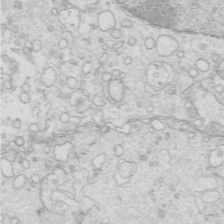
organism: Mouse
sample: Multiciliated cells